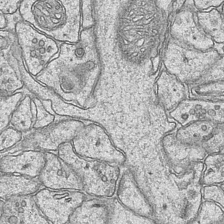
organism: Mouse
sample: CA1 Hippocampus